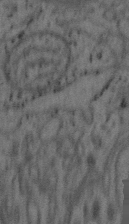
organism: Human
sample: HeLa cells